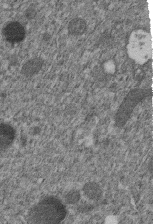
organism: C. elegans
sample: C. elegans embryo early stage